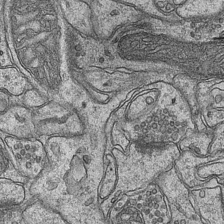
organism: Mouse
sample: CA1 Hippocampus